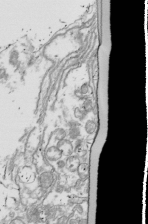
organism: Drosophila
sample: Cell division; meiosis; drosophila spermatocytes